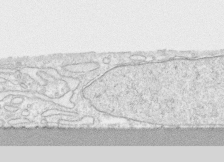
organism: Human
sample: CRL-1474